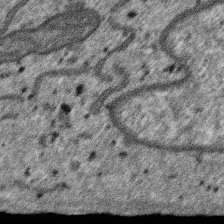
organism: Human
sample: Lung epithelial cells infected with SARS-CoV-2